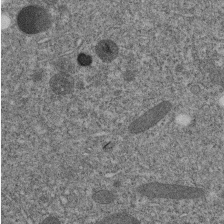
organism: C. elegans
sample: C. elegans embryo early stage